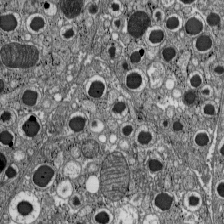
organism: C57BL Mouse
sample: Pancreatic islet